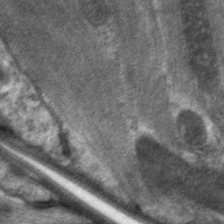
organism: C. elegans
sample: Pharynx